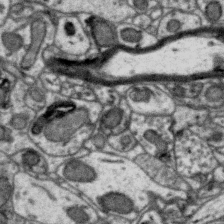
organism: Zebra finch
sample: Brain